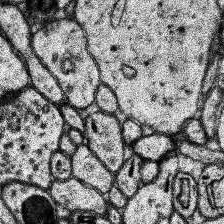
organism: Human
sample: Temporal Lobe